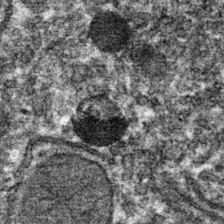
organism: Mouse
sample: Mouse hepatocytes